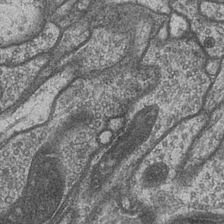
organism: Drosophila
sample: Optic medulla